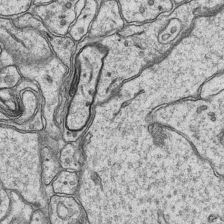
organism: Mouse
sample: CA1 Hippocampus